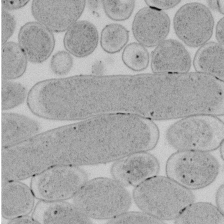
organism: E. coli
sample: Bacterial nucleoid